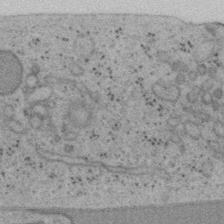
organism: Human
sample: HeLa cells